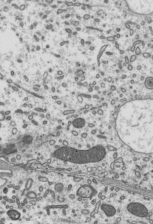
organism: Mouse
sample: Mouse epididymis efferent ductule cilia